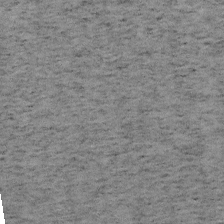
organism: Mouse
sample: OT-I killer T cells with ID8 ovarian cancer cells